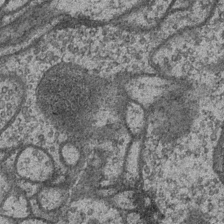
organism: Drosophila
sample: Optic medulla